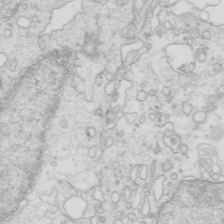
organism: Mouse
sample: Multiciliated cells